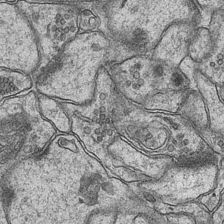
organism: Mouse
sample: CA1 Hippocampus